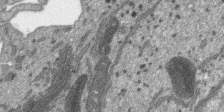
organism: Human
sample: Lung epithelial cells infected with SARS-CoV-2